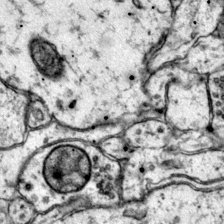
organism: Mouse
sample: Primary visual cortex